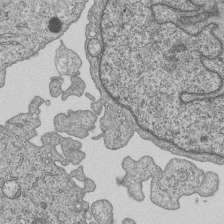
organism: Human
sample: MDA-MB-231 cells